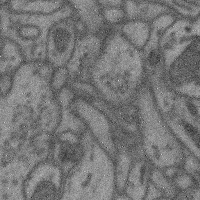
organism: Mouse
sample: Cerebral cortex